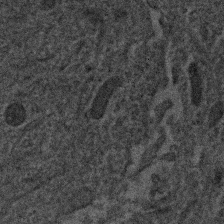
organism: Human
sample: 1205lu cells